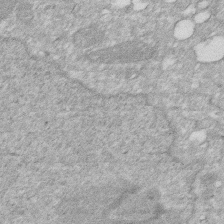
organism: Human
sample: HIV infected U937 cells